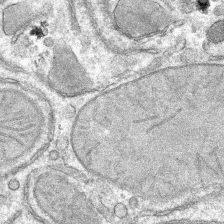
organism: Mouse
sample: Mouse hepatocytes